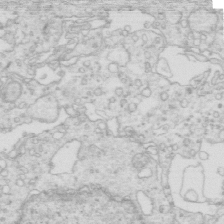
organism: Mouse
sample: Multiciliated cells